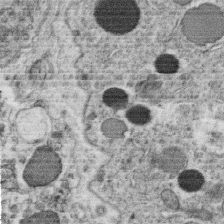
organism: C. elegans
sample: C. elegans oocyte; sperm cells